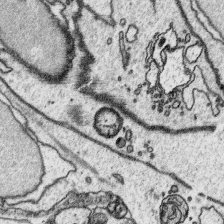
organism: Platynereis dumerilii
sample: Parapodia